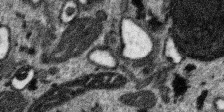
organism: Human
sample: Lung epithelial cells infected with SARS-CoV-2